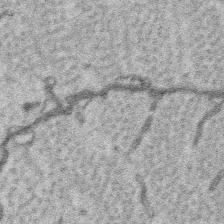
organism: Platynereis dumerilii